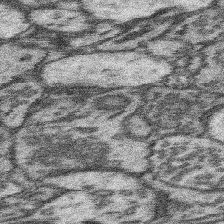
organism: Mouse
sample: Somatosensory cortex neuropil